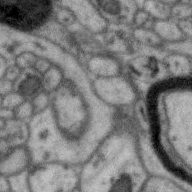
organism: Zebra finch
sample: Brain